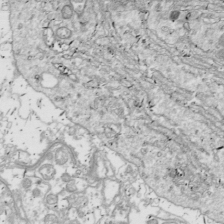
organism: Drosophila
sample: Cell division; meiosis; drosophila spermatocytes